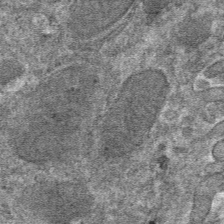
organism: Mouse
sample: Mouse hepatocytes